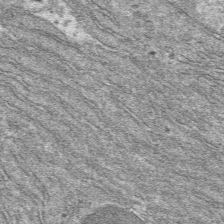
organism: Mouse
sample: Mouse hepatocytes